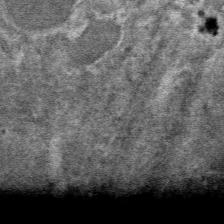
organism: Mouse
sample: Mouse hepatocytes